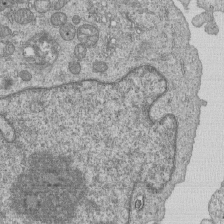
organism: Human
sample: MDA-MB-231 cells